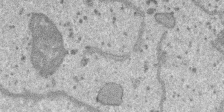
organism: Human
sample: Lung epithelial cells infected with SARS-CoV-2